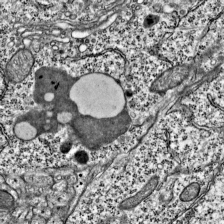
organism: Mouse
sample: Visual Cortex